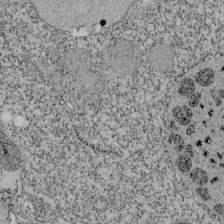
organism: Tetrahymena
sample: Cilia in tetrahymena